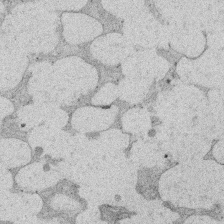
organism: Rat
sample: Salivary granule